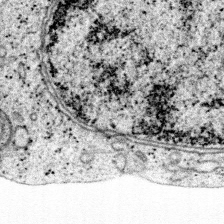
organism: Human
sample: HeLa cells